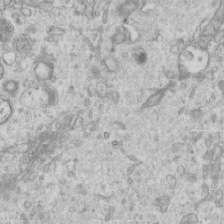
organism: Mouse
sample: Centriole in ependymal cells